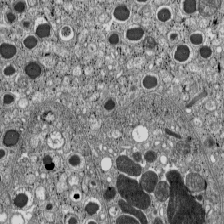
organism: C57BL Mouse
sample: Pancreatic islet